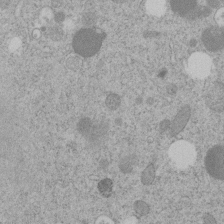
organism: C. elegans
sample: C. elegans embryo early stage